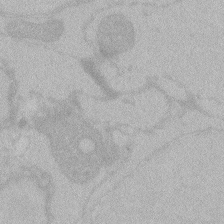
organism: Zebrafish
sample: Macrophage infected with Toxoplasma gondii